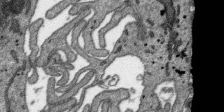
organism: Human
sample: Lung epithelial cells, uninfected (mock) control